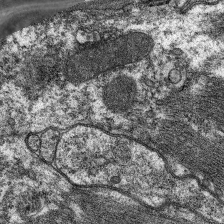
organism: C. elegans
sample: Pharynx